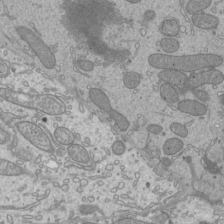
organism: Mouse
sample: Cilia; mouse epididymis